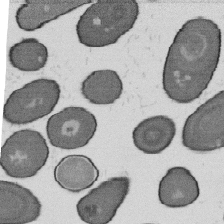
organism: B. subtilis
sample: Bacterial spore